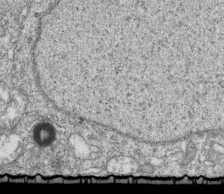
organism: Human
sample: HeLa cell HIV synapse